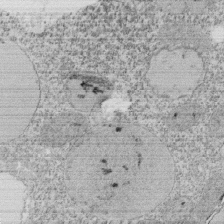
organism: Tetrahymena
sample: Cilia in tetrahymena